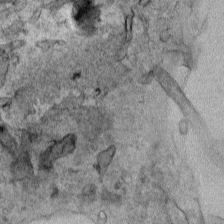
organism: Human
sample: Mitochondria in HCT116 cells